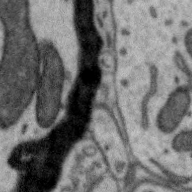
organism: Zebra finch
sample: Brain